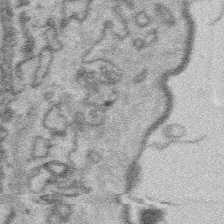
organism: Platynereis dumerilii